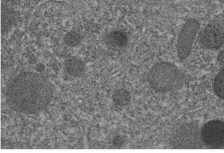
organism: C. elegans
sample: C. elegans embryo early stage